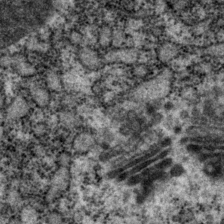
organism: P. pacificus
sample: Pharynx